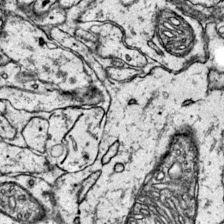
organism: Mouse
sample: Primary visual cortex